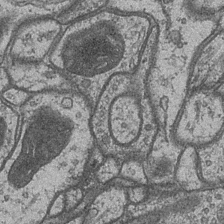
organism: Drosophila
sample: Optic medulla